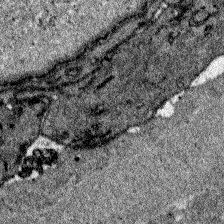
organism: Zebrafish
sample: Larval olfactory bulb